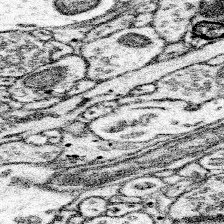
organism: Mouse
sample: Somatosensory cortex neuropil